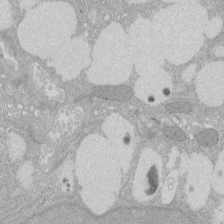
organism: Rat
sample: Salivary granule